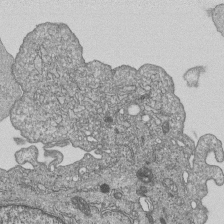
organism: Human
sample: MDA-MB-231 cells